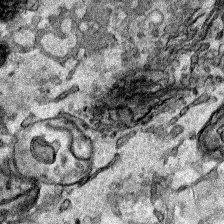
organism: Human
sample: Mitochondria in HCT116 cells